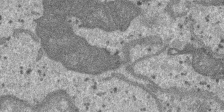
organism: Human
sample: Lung epithelial cells infected with SARS-CoV-2